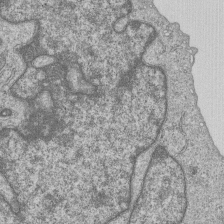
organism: Human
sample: MDA-MB-231 cells